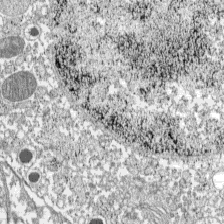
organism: C57BL Mouse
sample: Pancreatic islet